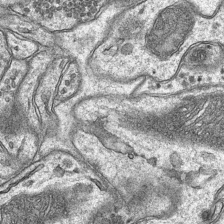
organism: Mouse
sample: CA1 Hippocampus